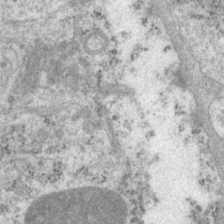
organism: P. pacificus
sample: Pharynx